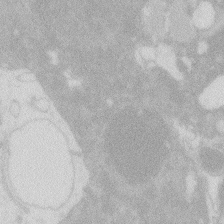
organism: Zebrafish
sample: Macrophage